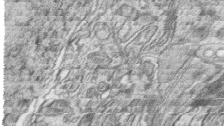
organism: Zebrafish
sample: synaptic ribbons in rod cells and cone cells